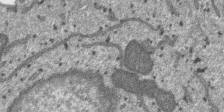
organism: Human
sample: Lung epithelial cells infected with SARS-CoV-2